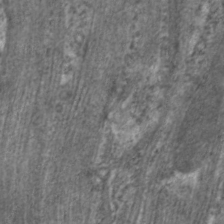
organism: C. elegans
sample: Pharynx